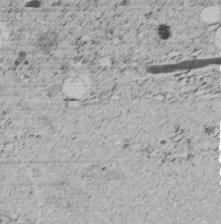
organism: C. elegans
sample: C. elegans embryo early stage